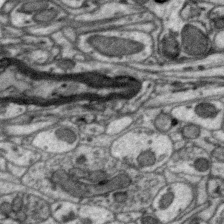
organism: Zebra finch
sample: Brain